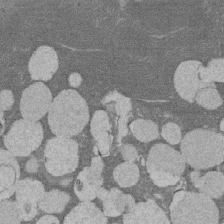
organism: Rat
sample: Salivary granule